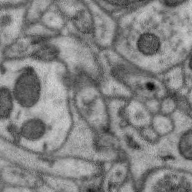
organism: Zebra finch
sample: Brain